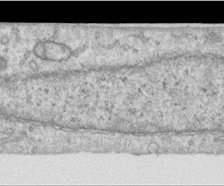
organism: Human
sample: Centriole in RPE cells